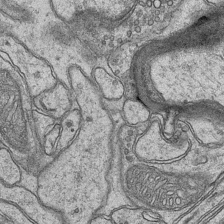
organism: Mouse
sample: CA1 Hippocampus